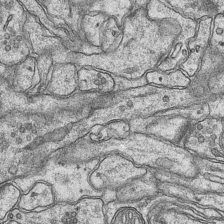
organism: Mouse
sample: CA1 Hippocampus